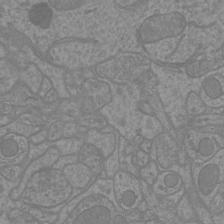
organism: Mouse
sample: Cortical neurons